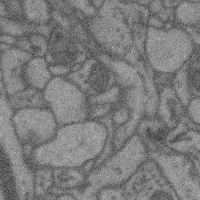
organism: Mouse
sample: Cerebral cortex